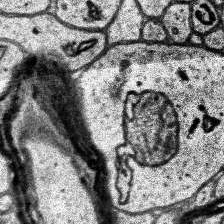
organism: Human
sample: Temporal Lobe